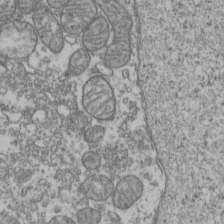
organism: Human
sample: Activated Jurkat CD4+ T cells